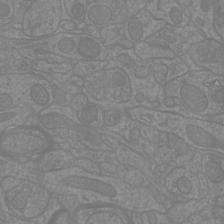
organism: Mouse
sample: Cortical neurons